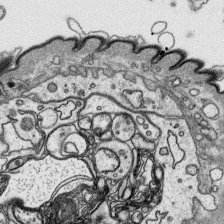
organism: Platynereis dumerilii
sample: Parapodia